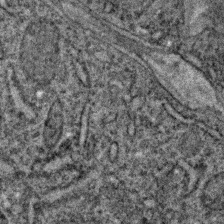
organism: C. elegans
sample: C. elegans embryo